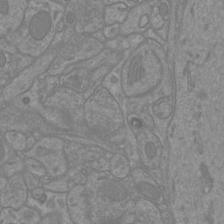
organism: Mouse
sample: Cortical neurons